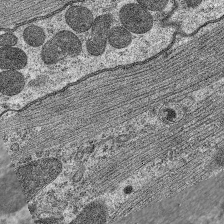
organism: C. elegans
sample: Pharynx